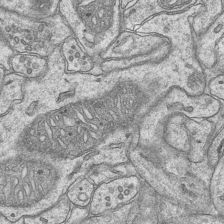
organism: Mouse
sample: CA1 Hippocampus